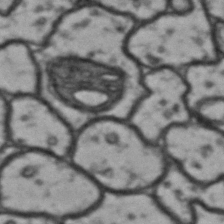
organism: Drosophila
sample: Brain